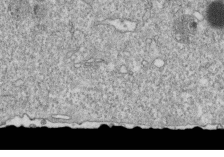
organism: Human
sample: HeLa cell HIV synapse